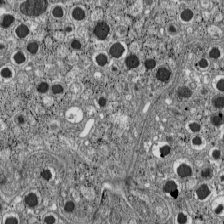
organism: C57BL Mouse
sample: Pancreatic islet